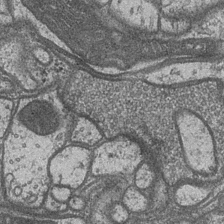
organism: Drosophila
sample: Optic medulla